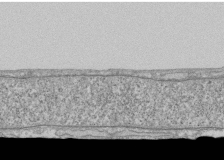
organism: Human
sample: Fibroblast cells